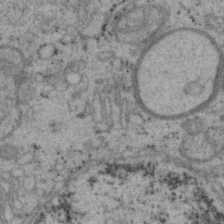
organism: Human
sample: HeLa cells